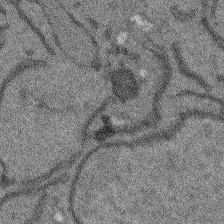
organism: Arabidopsis thaliana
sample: Root tip